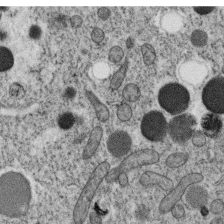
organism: C. elegans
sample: C. elegans oocyte; sperm cells